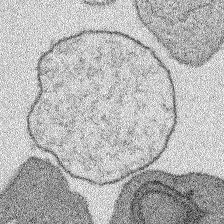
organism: Human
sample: HeLa cells